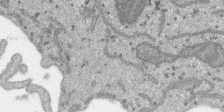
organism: Human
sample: Lung epithelial cells infected with SARS-CoV-2